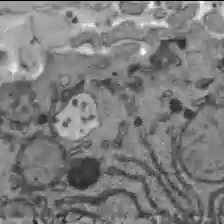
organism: C57BL Mouse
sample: Liver